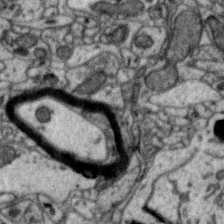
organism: Zebra finch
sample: Brain